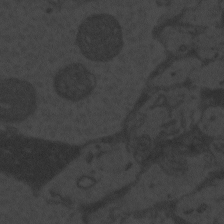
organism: Zebrafish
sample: Macrophage infected with Toxoplasma gondii